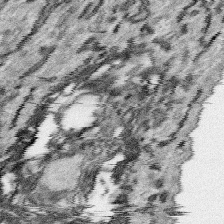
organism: Human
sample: HeLa cells